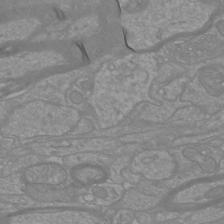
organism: Mouse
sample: Cortical neurons